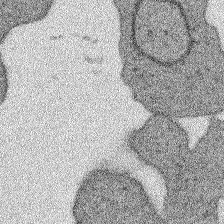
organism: Human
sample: HeLa cells